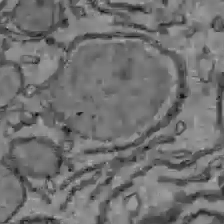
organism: C57BL Mouse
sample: Liver